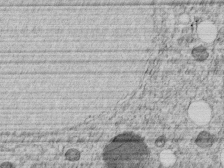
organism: C. elegans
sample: C. elegans embryo early stage